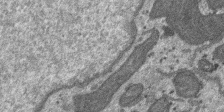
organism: Human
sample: Lung epithelial cells infected with SARS-CoV-2